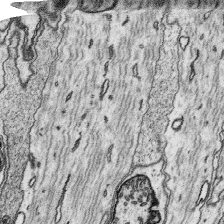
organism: Platynereis dumerilii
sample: Parapodia